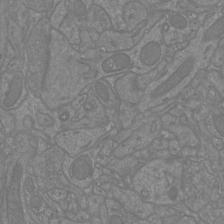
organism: Mouse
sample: Cortical neurons